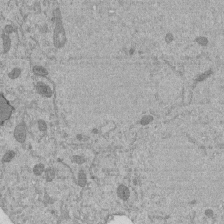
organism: Mouse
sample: ED-1 cell nuclei; centrioles